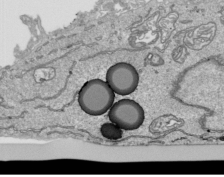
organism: Human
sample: Mitochondria in HCT116 cells